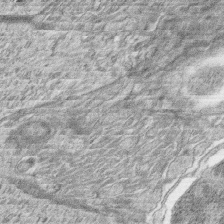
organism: Zebrafish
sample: synaptic ribbons in rod cells and cone cells